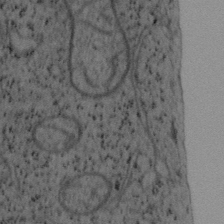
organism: Human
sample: HeLa cells